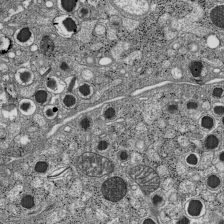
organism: C57BL Mouse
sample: Pancreatic islet